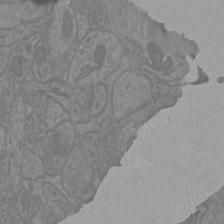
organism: Mouse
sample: Cortical neurons